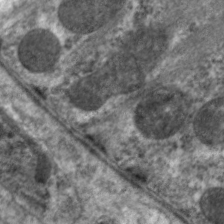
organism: C. elegans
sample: Pharynx